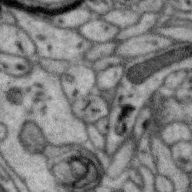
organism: Zebra finch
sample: Brain